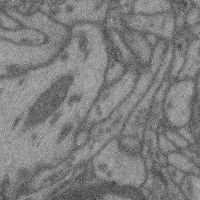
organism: Mouse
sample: Cerebral cortex